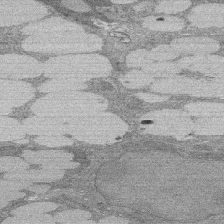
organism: Rat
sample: Salivary granule